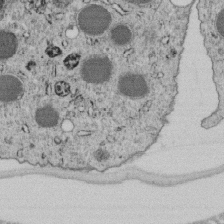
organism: C. elegans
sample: C. elegans embryo early stage